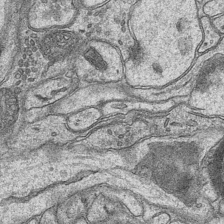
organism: Mouse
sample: CA1 Hippocampus